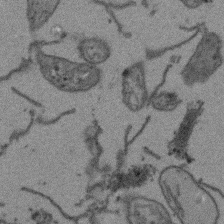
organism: Arabidopsis thaliana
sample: Root tip